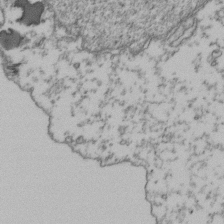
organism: Human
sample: Activated Jurkat CD4+ T cells